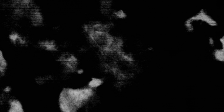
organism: Human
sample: Lung epithelial cells, uninfected (mock) control